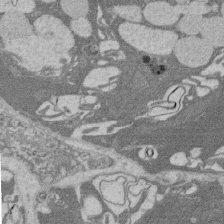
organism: Rat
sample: Salivary granule